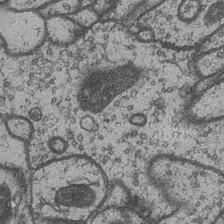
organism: Drosophila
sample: Optic medulla